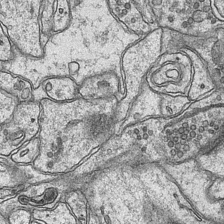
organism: Mouse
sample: CA1 Hippocampus